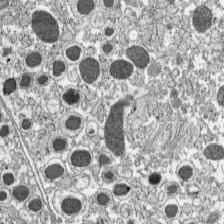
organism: C57BL Mouse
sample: Pancreatic islet